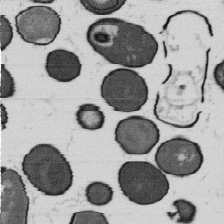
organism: B. subtilis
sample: Bacterial spore